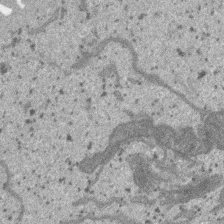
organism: Human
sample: Lung epithelial cells infected with SARS-CoV-2